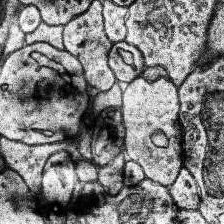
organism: Human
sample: Temporal Lobe